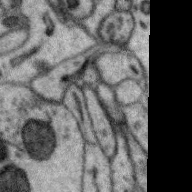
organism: Zebra finch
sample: Brain